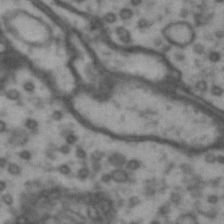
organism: Drosophila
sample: Brain